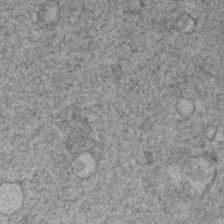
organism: Human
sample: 1205lu cells